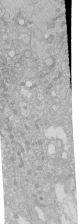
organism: Human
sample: Caco-2 cells